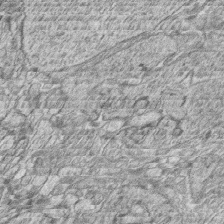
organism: Zebrafish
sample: synaptic ribbons in rod cells and cone cells